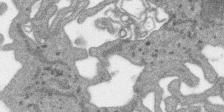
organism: Human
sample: Lung epithelial cells infected with SARS-CoV-2